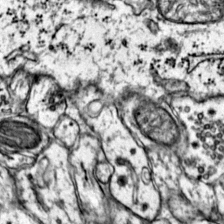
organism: Mouse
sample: Primary visual cortex